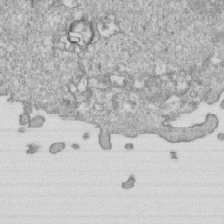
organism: Mouse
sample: Activated OT-1 CD8+ T cells